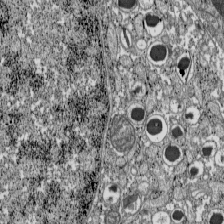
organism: C57BL Mouse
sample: Pancreatic islet